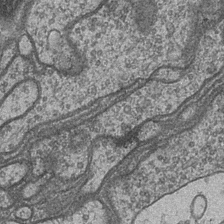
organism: Drosophila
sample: Optic medulla